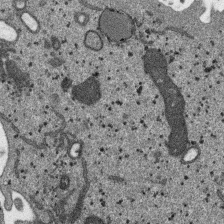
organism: Human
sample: Lung epithelial cells infected with SARS-CoV-2